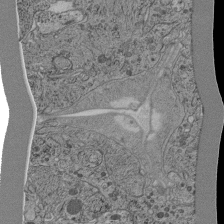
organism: C. elegans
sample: C. elegans pharynx